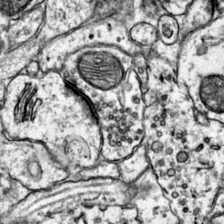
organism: Mouse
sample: Primary visual cortex